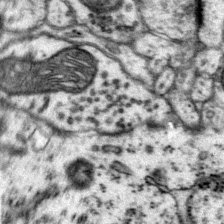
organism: Mouse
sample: Primary visual cortex